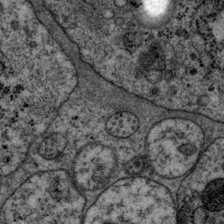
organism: P. pacificus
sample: Pharynx